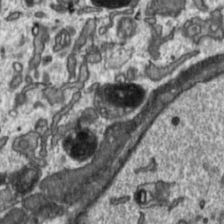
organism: Toxoplasma gondii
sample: Parasites in a vacuole inside a host cell